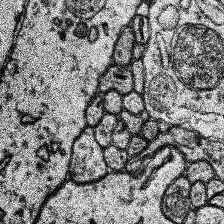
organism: Human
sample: Temporal Lobe